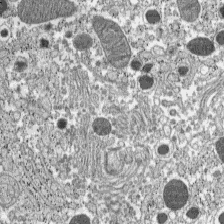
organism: C57BL Mouse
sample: Pancreatic islet